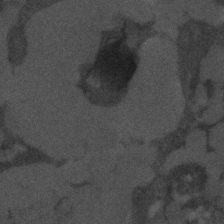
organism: C. elegans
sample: C. elegans embryo